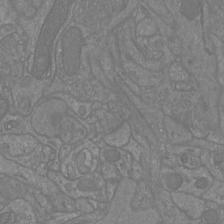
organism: Mouse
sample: Cortical neurons